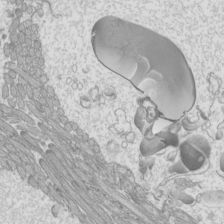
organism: Mouse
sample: Cilia; mouse epididymis